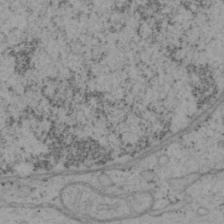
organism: Human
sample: HeLa cells